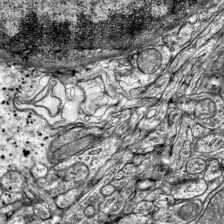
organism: Mouse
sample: Visual Cortex